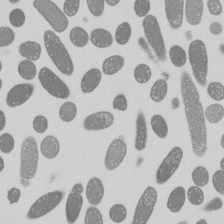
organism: E. coli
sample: Bacterial nucleoid